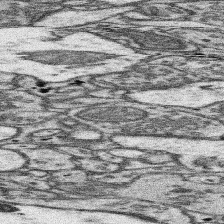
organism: Mouse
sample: Somatosensory cortex neuropil